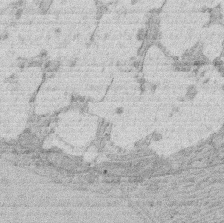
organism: Rat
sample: Salivary granule